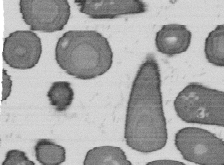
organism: B. subtilis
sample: Bacterial spore